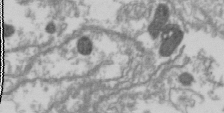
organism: Drosophila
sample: Cell division; meiosis; drosophila spermatocytes